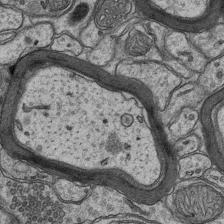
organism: Mouse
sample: CA1 Hippocampus